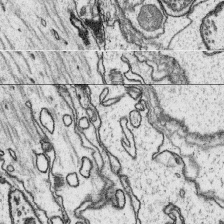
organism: Platynereis dumerilii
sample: Parapodia